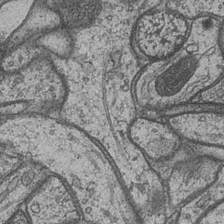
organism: Drosophila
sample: Optic medulla